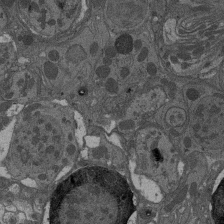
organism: Drosophila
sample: Antenna